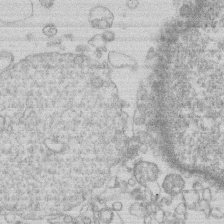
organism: Human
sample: Macrophage cells